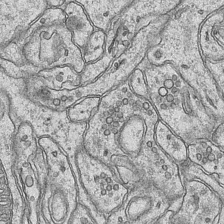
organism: Mouse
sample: CA1 Hippocampus